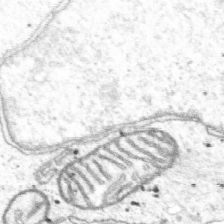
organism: Human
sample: HeLa cells